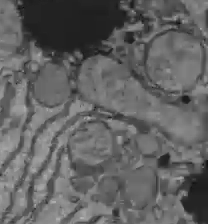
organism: C57BL Mouse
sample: Liver